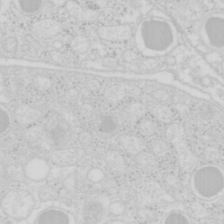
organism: Mouse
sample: Pancreas